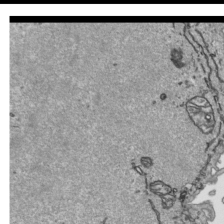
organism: Human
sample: Mitochondria in HCT116 cells